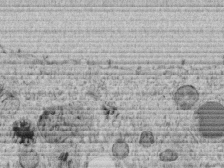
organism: C. elegans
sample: C. elegans embryo early stage